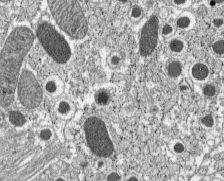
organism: C57BL Mouse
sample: Pancreatic islet